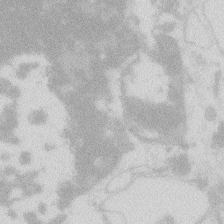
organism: Zebrafish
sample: Macrophage